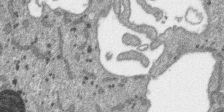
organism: Human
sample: Lung epithelial cells infected with SARS-CoV-2